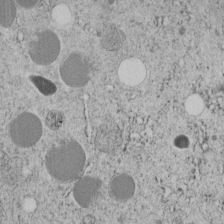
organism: C. elegans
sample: C. elegans embryo early stage